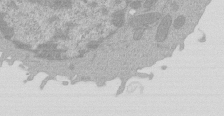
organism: Mouse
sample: Activated Pmel transgenic CD8+ T Cells